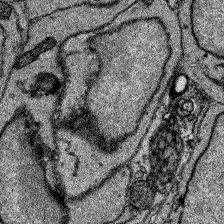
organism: Zebrafish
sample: Larval olfactory bulb